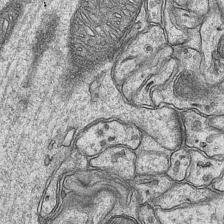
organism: Mouse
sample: CA1 Hippocampus